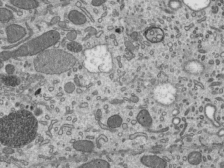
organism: Mouse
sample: Mouse epididymis efferent ductule cilia